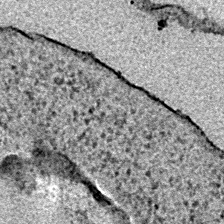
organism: E. coli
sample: E. Coli Bacteria